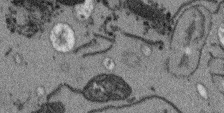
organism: Arabidopsis thaliana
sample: Root tip